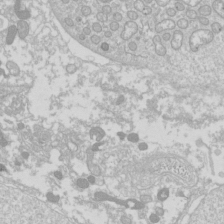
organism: Drosophila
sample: Cell division; meiosis; drosophila spermatocytes